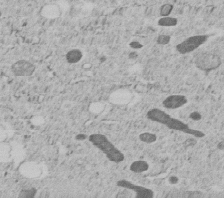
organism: C. elegans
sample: C. elegans embryo early stage